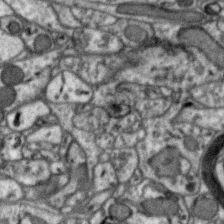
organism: Zebra finch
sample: Brain